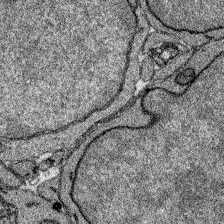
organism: Zebrafish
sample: Larval olfactory bulb